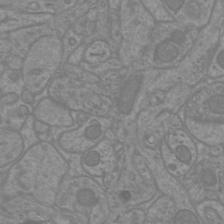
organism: Mouse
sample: Cortical neurons